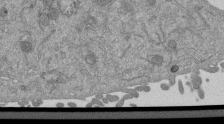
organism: Mouse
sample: ED-1 cell nuclei; centrioles